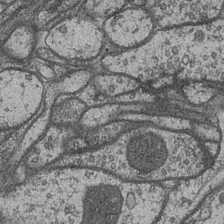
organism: Drosophila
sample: Optic medulla